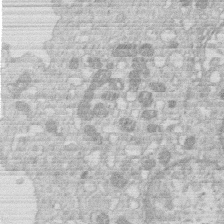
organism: Human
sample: Macrophage cells